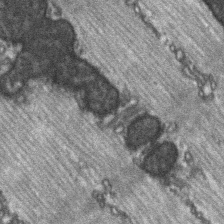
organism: C57BL Mouse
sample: Soleus